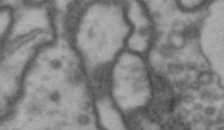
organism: Drosophila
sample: Brain